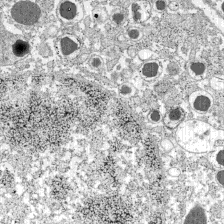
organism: C57BL Mouse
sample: Pancreatic islet